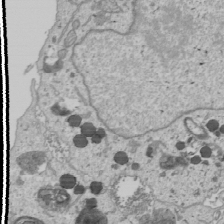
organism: Human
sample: Mitochondria in U2OS cells